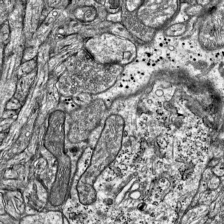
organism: Mouse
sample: Visual Cortex